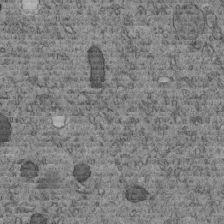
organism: C. elegans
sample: C. elegans embryo early stage